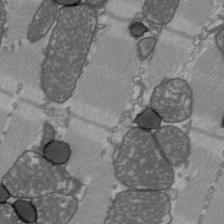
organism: C57BL Mouse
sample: Heart